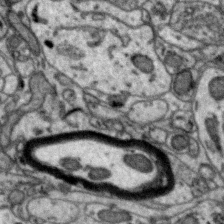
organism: Zebra finch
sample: Brain